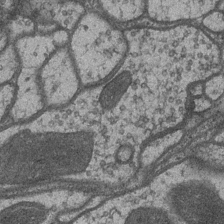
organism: Drosophila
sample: Optic medulla